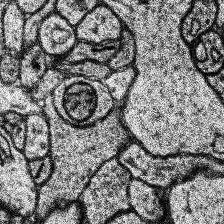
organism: Human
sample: Temporal Lobe